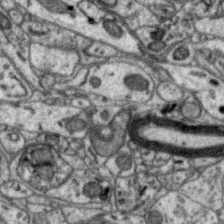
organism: Zebra finch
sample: Brain